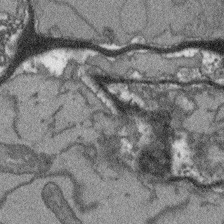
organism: Arabidopsis thaliana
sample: Root tip